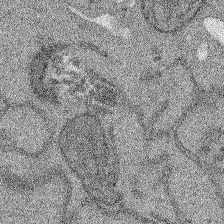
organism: Human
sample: HeLa cells